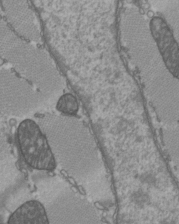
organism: C57BL Mouse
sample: Heart